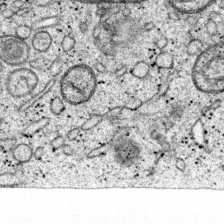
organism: Human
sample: HeLa cells